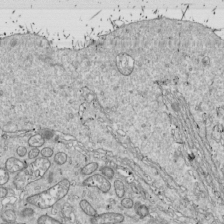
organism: Drosophila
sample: Cell division; meiosis; drosophila spermatocytes